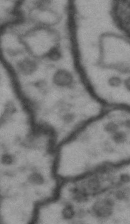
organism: Drosophila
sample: Brain